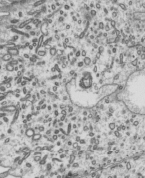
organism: Mouse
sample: Mouse epididymis efferent ductule cilia